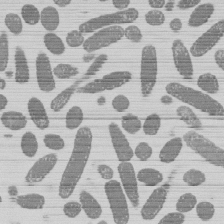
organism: E. coli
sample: Bacterial nucleoid